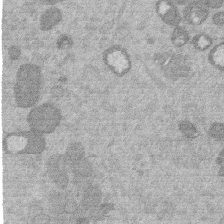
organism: Mouse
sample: Dividing mouse embryo 1 cell stage